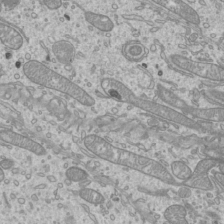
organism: Mouse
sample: Cilia; mouse epididymis